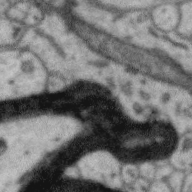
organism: Zebra finch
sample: Brain